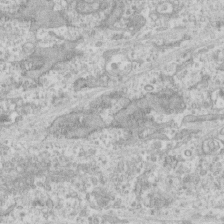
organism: Human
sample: CRL-1474